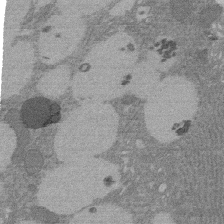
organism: Rat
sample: Salivary granule